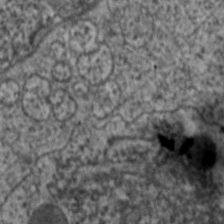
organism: C. elegans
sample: Pharynx